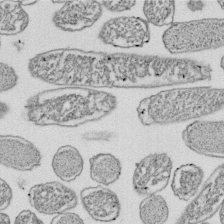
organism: E. coli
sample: Bacterial nucleoid